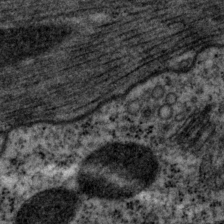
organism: P. pacificus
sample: Pharynx